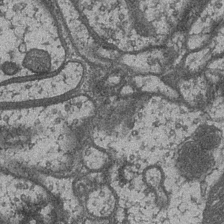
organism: Drosophila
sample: Optic medulla